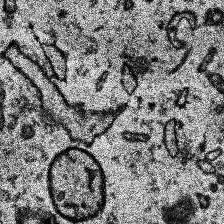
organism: Human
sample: Temporal Lobe